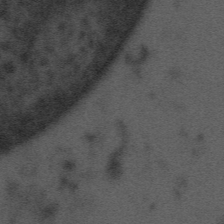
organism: Tuwongella immobilis